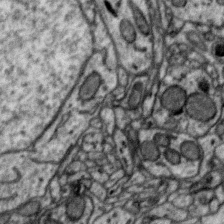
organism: Zebra finch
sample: Brain